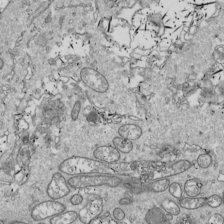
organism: Drosophila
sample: Cell division; meiosis; drosophila spermatocytes